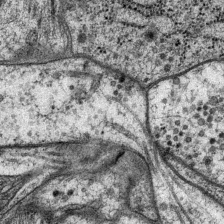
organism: P. pacificus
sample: Pharynx